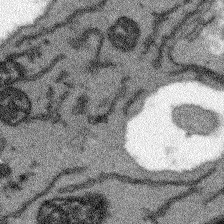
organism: Arabidopsis thaliana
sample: Root tip